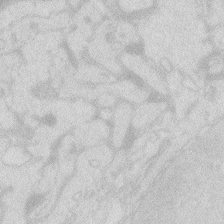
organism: Zebrafish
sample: Macrophage